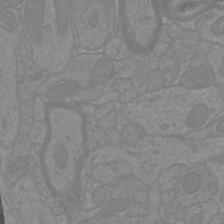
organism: Mouse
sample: Cortical neurons